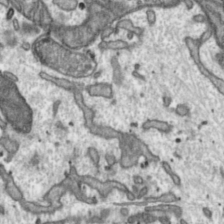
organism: Toxoplasma gondii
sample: Parasites in a vacuole inside a host cell